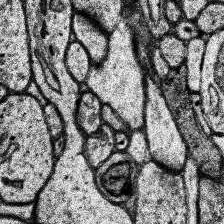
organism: Human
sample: Temporal Lobe